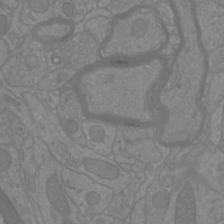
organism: Mouse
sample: Cortical neurons